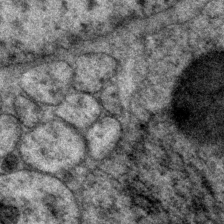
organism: P. pacificus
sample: Pharynx